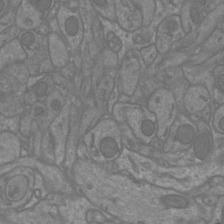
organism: Mouse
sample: Cortical neurons